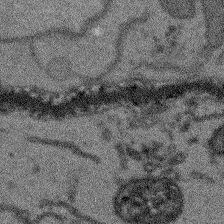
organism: Arabidopsis thaliana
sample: Root tip